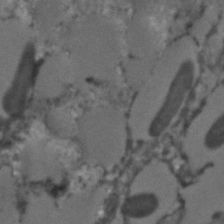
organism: C. elegans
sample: C. elegans embryo